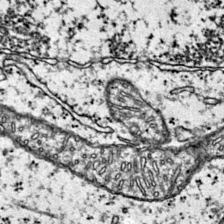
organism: Mouse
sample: Primary visual cortex